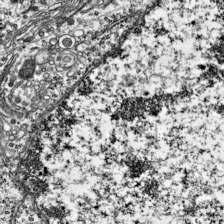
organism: Mouse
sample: Visual Cortex